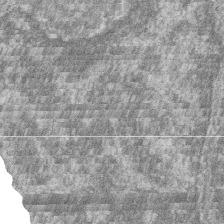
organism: Zebrafish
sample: Cilia; retinal pigment epithelium